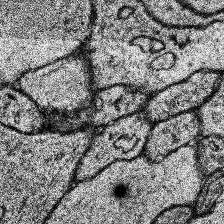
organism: Human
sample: Temporal Lobe